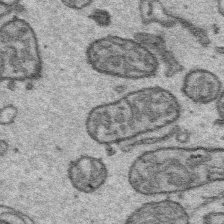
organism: Platynereis dumerilii